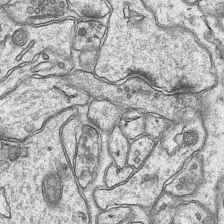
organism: Mouse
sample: CA1 Hippocampus